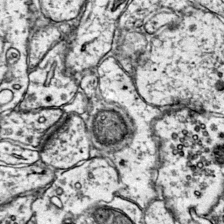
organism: Mouse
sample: Primary visual cortex